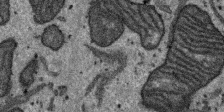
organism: Human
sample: Lung epithelial cells, uninfected (mock) control